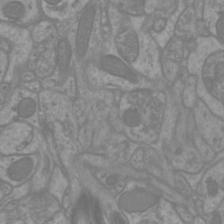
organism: Mouse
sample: Cortical neurons